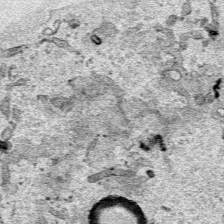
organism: Human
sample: Mitochondria in HCT116 cells